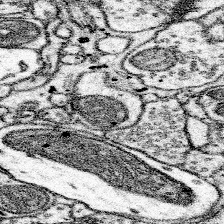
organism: Mouse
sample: Somatosensory cortex neuropil